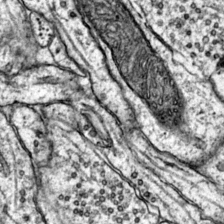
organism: Mouse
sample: Primary visual cortex